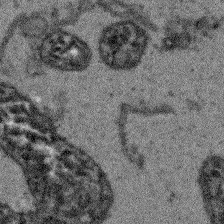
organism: Arabidopsis thaliana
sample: Root tip